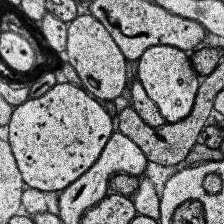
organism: Human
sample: Temporal Lobe